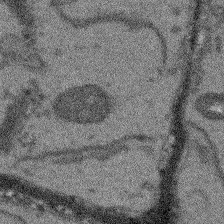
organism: Arabidopsis thaliana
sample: Root tip